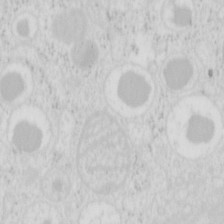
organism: Mouse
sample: Pancreas